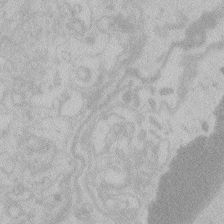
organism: Zebrafish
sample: Macrophage infected with Toxoplasma gondii